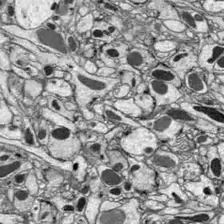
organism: Drosophila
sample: Optic lobe